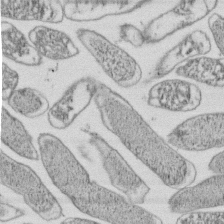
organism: E. coli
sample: Bacterial nucleoid